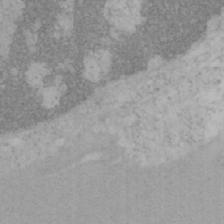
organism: Mouse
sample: OT-I killer T cells with ID8 ovarian cancer cells